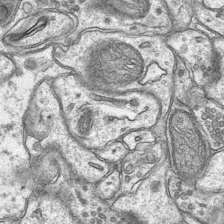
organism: Mouse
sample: CA1 Hippocampus